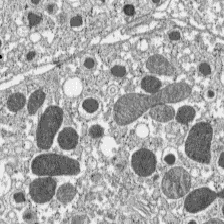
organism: C57BL Mouse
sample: Pancreatic islet